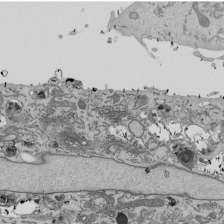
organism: Mouse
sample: ED-1 cell nuclei; centrioles